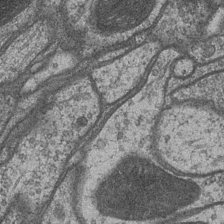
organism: Drosophila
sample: Optic medulla